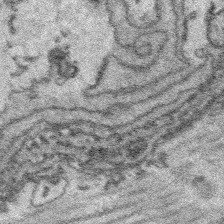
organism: Platynereis dumerilii